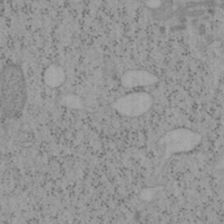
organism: Mouse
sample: OT-I killer T cells with ID8 ovarian cancer cells